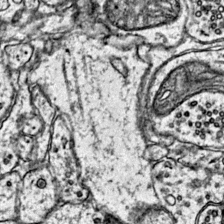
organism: Mouse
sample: Primary visual cortex